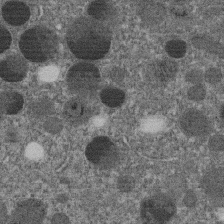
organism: C. elegans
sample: C. elegans embryo early stage